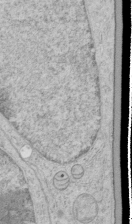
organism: Human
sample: Mitochondria in HCT116 cells